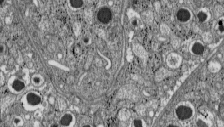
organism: C57BL Mouse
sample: Pancreatic islet